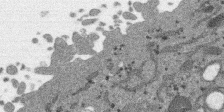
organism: Human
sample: Lung epithelial cells infected with SARS-CoV-2